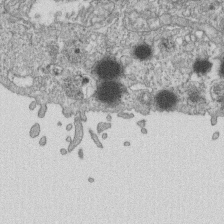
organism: Human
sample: HeLa cell HIV synapse